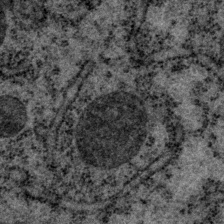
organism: P. pacificus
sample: Pharynx